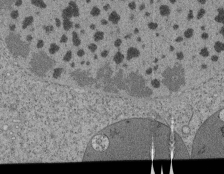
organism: Tetrahymena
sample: Cilia in tetrahymena